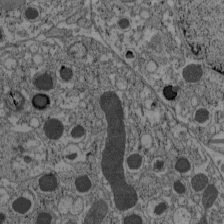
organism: C57BL Mouse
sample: Pancreatic islet